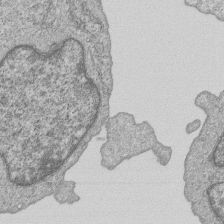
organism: Human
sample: MDA-MB-231 cells